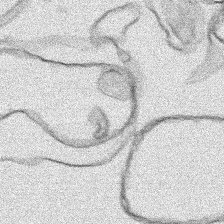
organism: Human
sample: Mitochondria in HCT116 cells